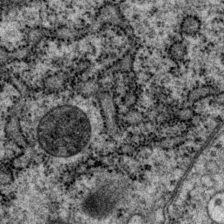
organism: P. pacificus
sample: Pharynx